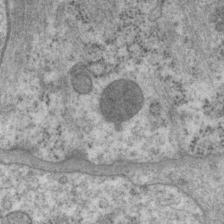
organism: P. pacificus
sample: Pharynx